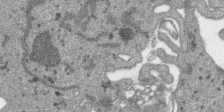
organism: Human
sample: Lung epithelial cells infected with SARS-CoV-2